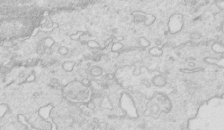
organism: Mouse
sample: Multiciliated cells